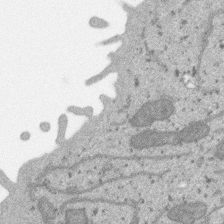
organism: Human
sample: Lung epithelial cells infected with SARS-CoV-2